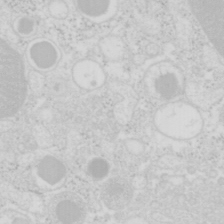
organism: Mouse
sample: Pancreas